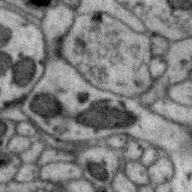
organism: Zebra finch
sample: Brain